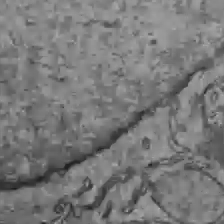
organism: C57BL Mouse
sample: Liver